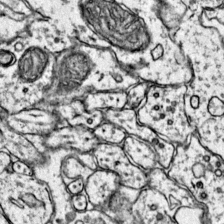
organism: Mouse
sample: Primary visual cortex